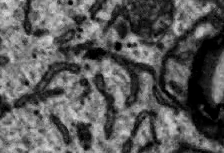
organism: Human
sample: HeLa cells